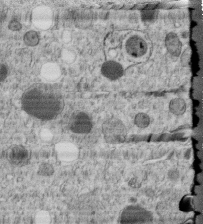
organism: C. elegans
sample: C. elegans embryo early stage